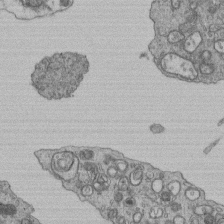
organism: Human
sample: Retinal organoid Rod and Cone cells